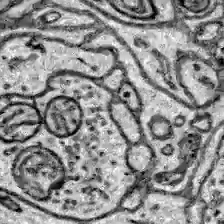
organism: Zebrafish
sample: Brain